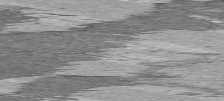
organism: C57BL Mouse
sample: Heart